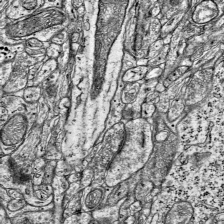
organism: Mouse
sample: Visual Cortex